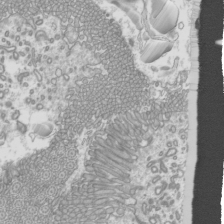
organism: Mouse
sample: Cilia; mouse epididymis